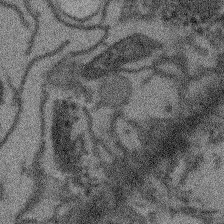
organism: Arabidopsis thaliana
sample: Root tip